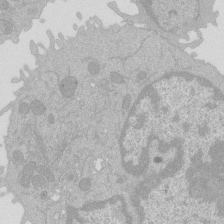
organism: Mouse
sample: Activated Pmel transgenic CD8+ T Cells